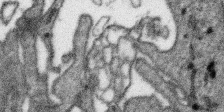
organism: Human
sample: Lung epithelial cells infected with SARS-CoV-2